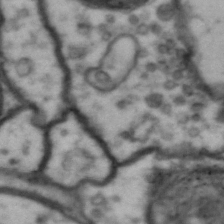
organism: Drosophila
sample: Brain